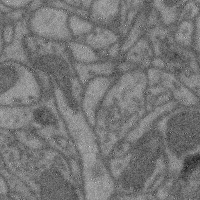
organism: Mouse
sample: Cerebral cortex